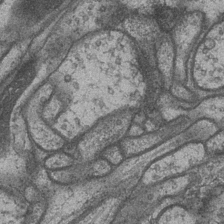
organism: Drosophila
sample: Optic medulla